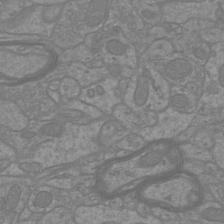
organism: Mouse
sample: Cortical neurons